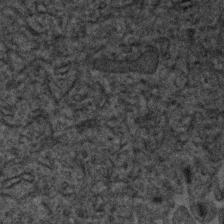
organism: Human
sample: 1205lu cells